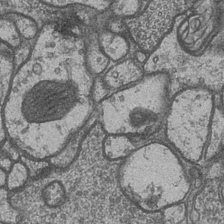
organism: Drosophila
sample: Optic medulla